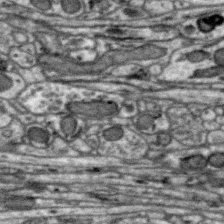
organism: Zebra finch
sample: Brain